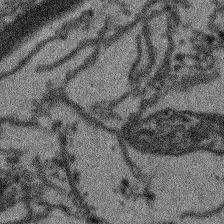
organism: Arabidopsis thaliana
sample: Root tip